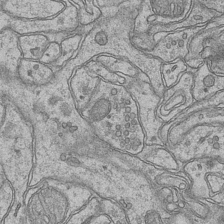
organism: Mouse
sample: CA1 Hippocampus